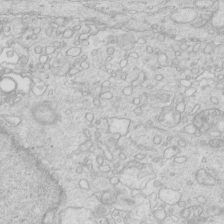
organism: Mouse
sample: Multiciliated cells